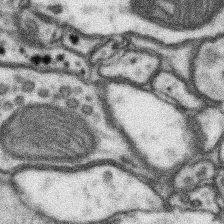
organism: Mouse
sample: Somatosensory cortex neuropil